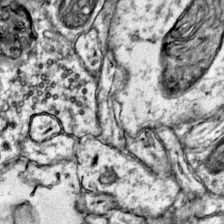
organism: Mouse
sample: Primary visual cortex